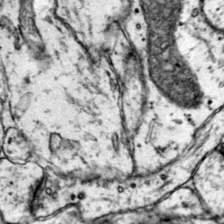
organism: Mouse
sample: Primary visual cortex